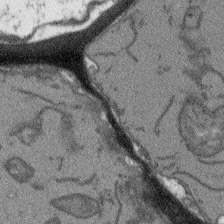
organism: Arabidopsis thaliana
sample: Root tip